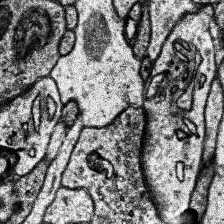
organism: Human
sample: Temporal Lobe